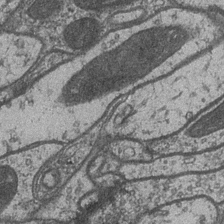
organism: Drosophila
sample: Optic medulla